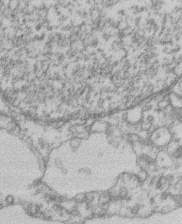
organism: Mouse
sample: T cell stromal cell synapse